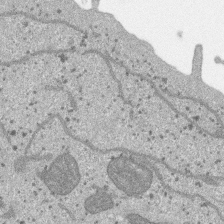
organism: Human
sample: Lung epithelial cells infected with SARS-CoV-2